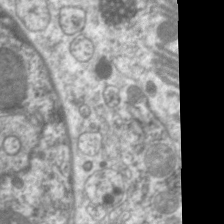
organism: C. elegans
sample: Pharynx